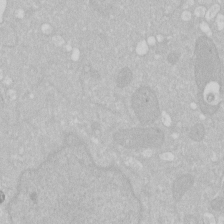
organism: Human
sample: HIV infected U937 cells